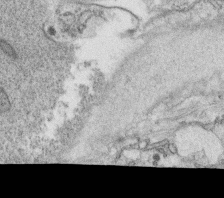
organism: C. elegans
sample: C. elegans oocyte; sperm cells